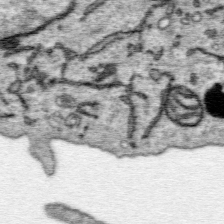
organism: Human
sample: HeLa cells